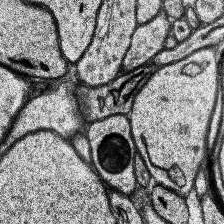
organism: Human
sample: Temporal Lobe